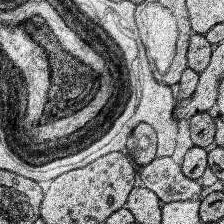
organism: Human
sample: Temporal Lobe